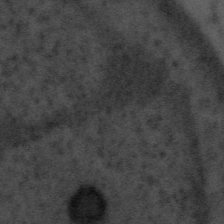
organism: Tuwongella immobilis